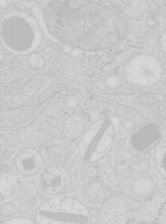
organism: Mouse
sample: Pancreas